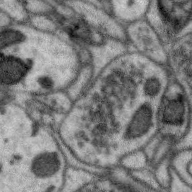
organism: Zebra finch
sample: Brain